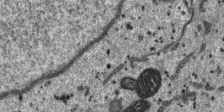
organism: Human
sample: Lung epithelial cells infected with SARS-CoV-2